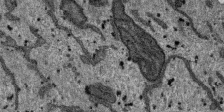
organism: Human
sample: Lung epithelial cells, uninfected (mock) control